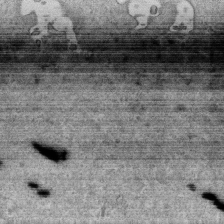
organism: Mouse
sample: Activated OT-1 CD8+ T cells